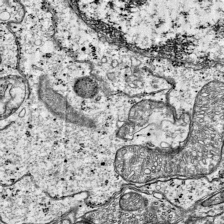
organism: Mouse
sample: Visual Cortex